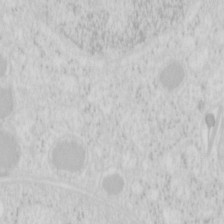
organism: Mouse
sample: Pancreas